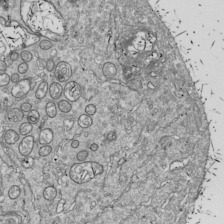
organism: Drosophila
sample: Cell division; meiosis; drosophila spermatocytes